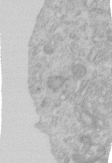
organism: Human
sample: Centriole in RPE cells